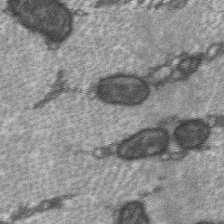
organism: C57BL Mouse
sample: Soleus